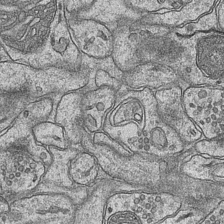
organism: Mouse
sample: CA1 Hippocampus